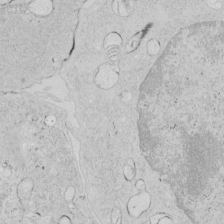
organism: Human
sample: Mitochondria in HCT116 cells